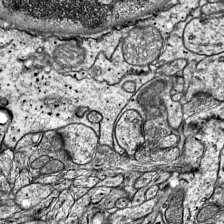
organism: Mouse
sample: Visual Cortex